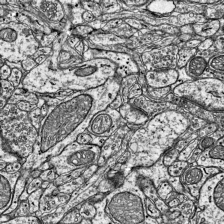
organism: Mouse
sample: Visual Cortex